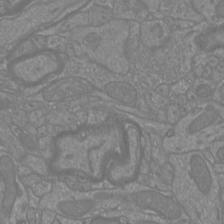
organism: Mouse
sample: Cortical neurons